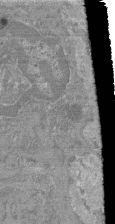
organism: Mouse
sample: Glomerulus